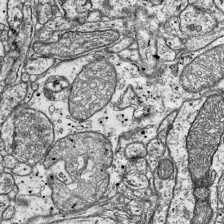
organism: Mouse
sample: Visual Cortex